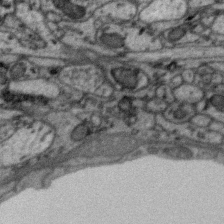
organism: Zebra finch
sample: Brain